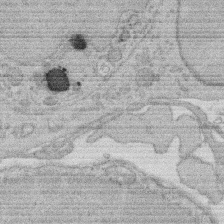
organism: Rat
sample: Salivary granule